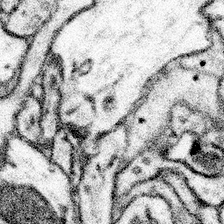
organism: Mouse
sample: Somatosensory cortex neuropil